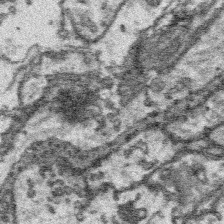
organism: Platynereis dumerilii